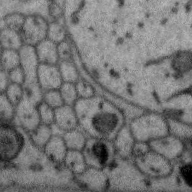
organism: Zebra finch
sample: Brain